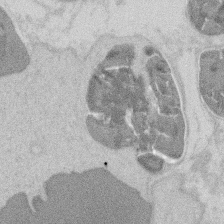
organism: Mouse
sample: T cell stromal cell synapse